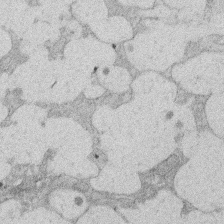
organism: Rat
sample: Salivary granule